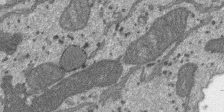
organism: Human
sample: Lung epithelial cells infected with SARS-CoV-2